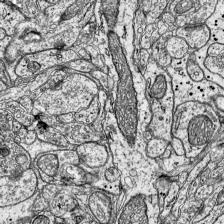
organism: Mouse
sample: Visual Cortex